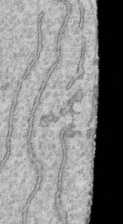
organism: Human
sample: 1205lu cells